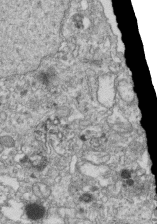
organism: Human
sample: HeLa cell HIV synapse